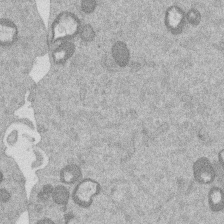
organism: Mouse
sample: Dividing mouse embryo 1 cell stage